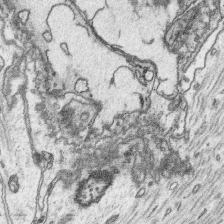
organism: Platynereis dumerilii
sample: Parapodia